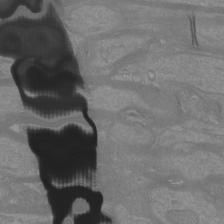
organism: Mouse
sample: Cortical neurons